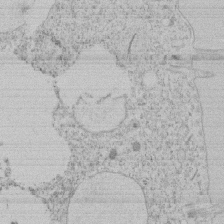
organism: Tetrahymena